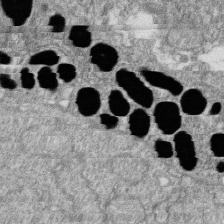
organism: Zebrafish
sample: Cilia; retinal pigment epithelium